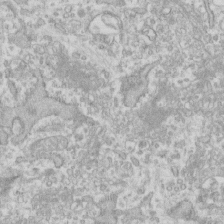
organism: Human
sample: Fibroblast cells